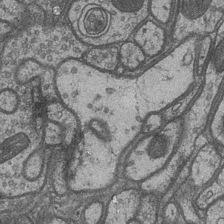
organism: Drosophila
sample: Optic medulla